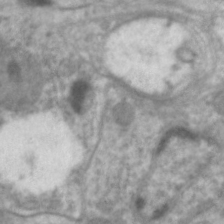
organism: C. elegans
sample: Pharynx